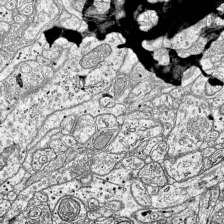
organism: Mouse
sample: Visual Cortex